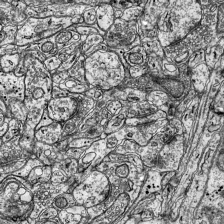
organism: Mouse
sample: Visual Cortex